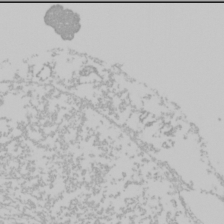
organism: Mouse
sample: Cancer cell death in ED-1 cells